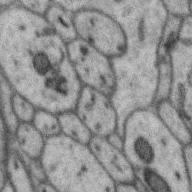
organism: Zebra finch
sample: Brain